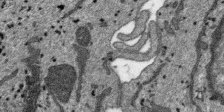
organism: Human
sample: Lung epithelial cells, uninfected (mock) control